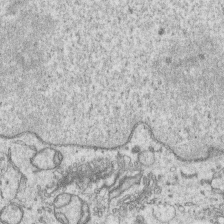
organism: Human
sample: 1205lu cells